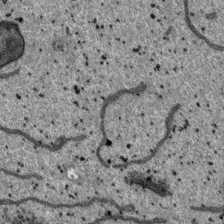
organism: Human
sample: Lung epithelial cells, uninfected (mock) control